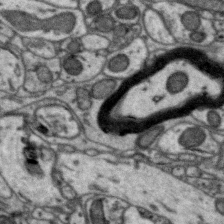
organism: Zebra finch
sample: Brain